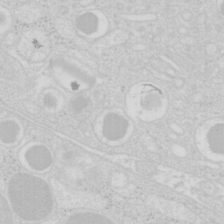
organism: Mouse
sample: Pancreas